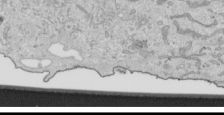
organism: Human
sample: Mitochondria in HCT116 cells